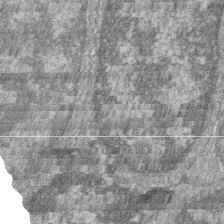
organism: Zebrafish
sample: Cilia; retinal pigment epithelium